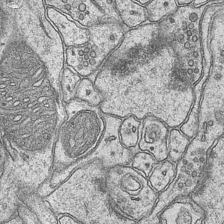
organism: Mouse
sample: CA1 Hippocampus